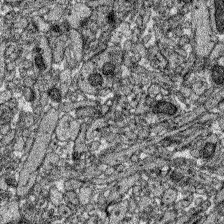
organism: Zebrafish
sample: Larval olfactory bulb